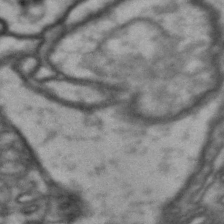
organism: Drosophila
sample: Brain